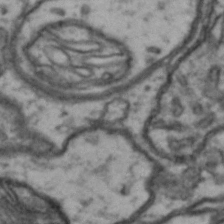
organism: Drosophila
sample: Brain